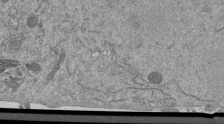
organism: Mouse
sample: ED-1 cell nuclei; centrioles